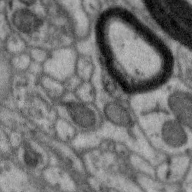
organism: Zebra finch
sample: Brain